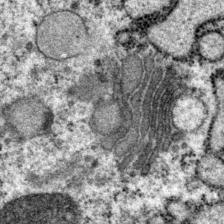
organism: P. pacificus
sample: Pharynx